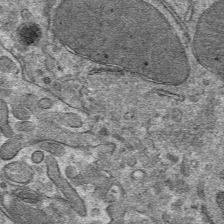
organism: Mouse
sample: Mouse hepatocytes